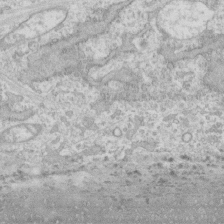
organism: Human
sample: CRL-1474